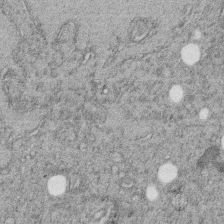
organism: C. elegans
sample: C. elegans embryo early stage